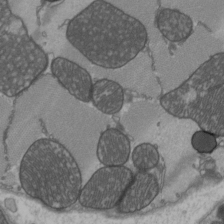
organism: C57BL Mouse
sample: Heart